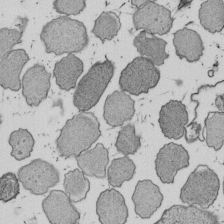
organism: E. coli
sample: Bacterial nucleoid